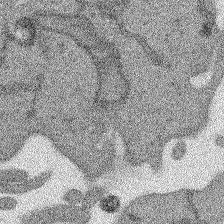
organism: Human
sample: HeLa cells